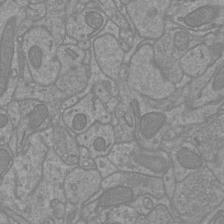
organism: Mouse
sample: Cortical neurons